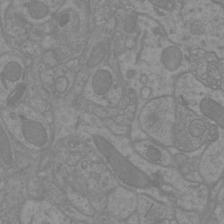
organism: Mouse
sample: Cortical neurons